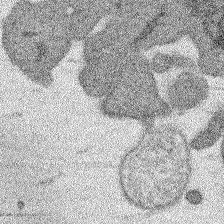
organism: Human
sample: HeLa cells